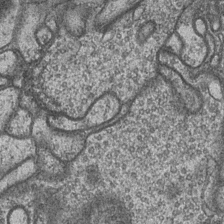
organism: Drosophila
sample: Optic medulla